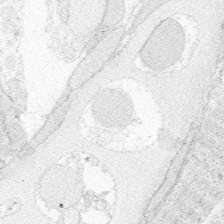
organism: Zebrafish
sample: Whole-Brain